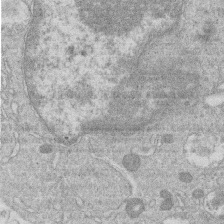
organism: Human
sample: Macrophage cells